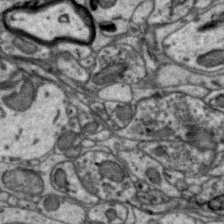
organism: Zebra finch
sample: Brain